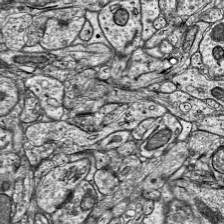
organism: Mouse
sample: Visual Cortex